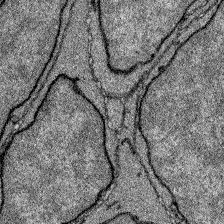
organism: Zebrafish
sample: Larval olfactory bulb